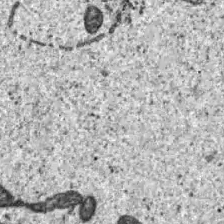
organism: Human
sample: HeLa cells